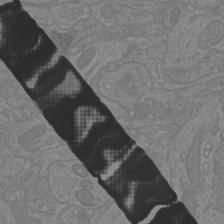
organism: Mouse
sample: Cortical neurons